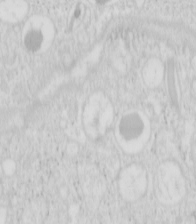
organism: Mouse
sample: Pancreas